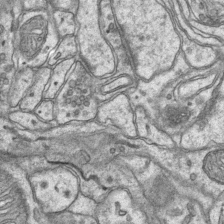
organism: Mouse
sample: CA1 Hippocampus